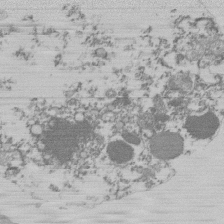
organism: Mouse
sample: Activated Pmel transgenic CD8+ T Cells